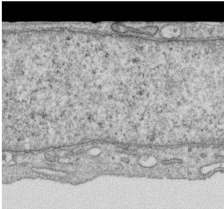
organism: Human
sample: Centriole in RPE cells